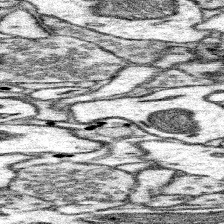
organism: Mouse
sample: Somatosensory cortex neuropil